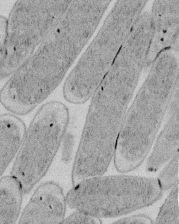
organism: E. coli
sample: Bacterial nucleoid